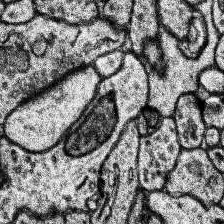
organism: Human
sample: Temporal Lobe